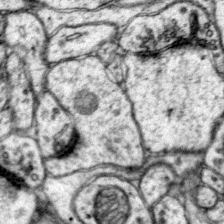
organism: Mouse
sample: Primary visual cortex